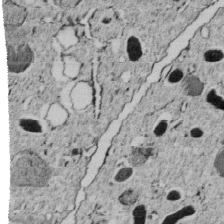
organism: C. elegans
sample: C. elegans embryo early stage